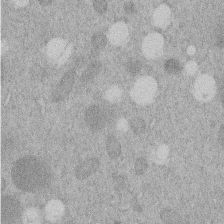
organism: C. elegans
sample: C. elegans embryo early stage